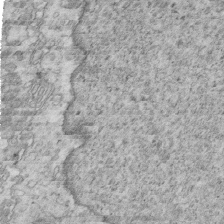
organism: Mouse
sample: Multiciliated cells